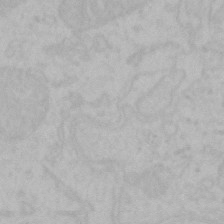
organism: Mouse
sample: Choroid plexus